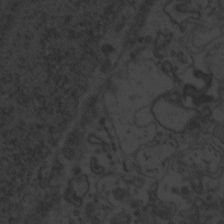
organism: Zebrafish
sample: Macrophage infected with Toxoplasma gondii